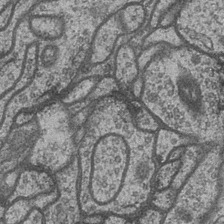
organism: Drosophila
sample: Optic medulla